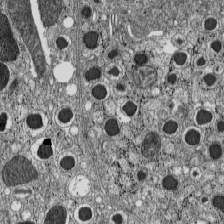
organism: C57BL Mouse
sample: Pancreatic islet